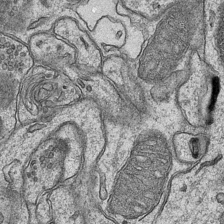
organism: Mouse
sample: CA1 Hippocampus